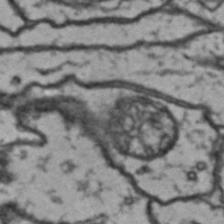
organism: Drosophila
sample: Brain